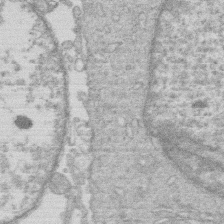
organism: Human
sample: Macrophage cells